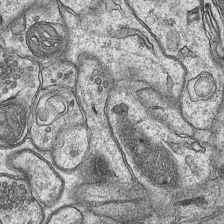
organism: Mouse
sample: CA1 Hippocampus